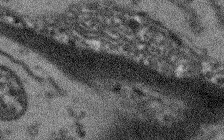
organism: Arabidopsis thaliana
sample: Root tip